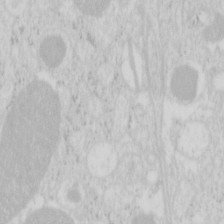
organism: Mouse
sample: Pancreas